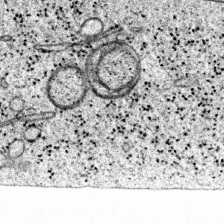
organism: Human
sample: HeLa cells